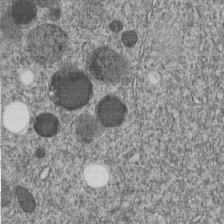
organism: C. elegans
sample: C. elegans embryo early stage